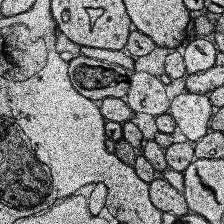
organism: Human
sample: Temporal Lobe